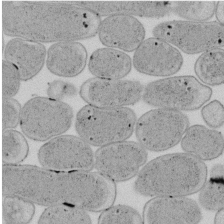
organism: E. coli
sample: Bacterial nucleoid